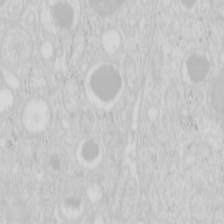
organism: Mouse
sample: Pancreas